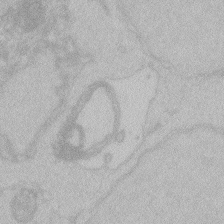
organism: Zebrafish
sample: Macrophage infected with Toxoplasma gondii